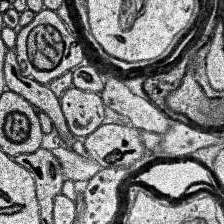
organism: Human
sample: Temporal Lobe